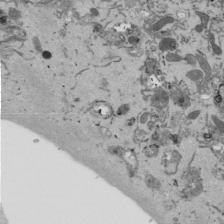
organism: Mouse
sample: ED-1 cell nuclei; centrioles